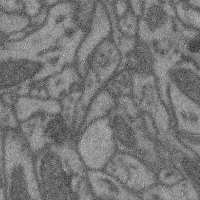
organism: Mouse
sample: Cerebral cortex